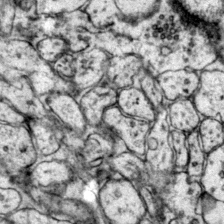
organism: Mouse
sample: Primary visual cortex